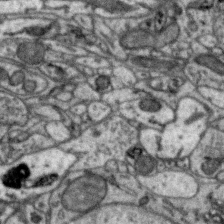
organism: Zebra finch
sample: Brain